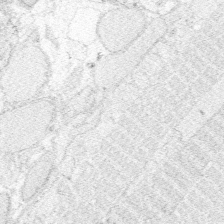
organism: Zebrafish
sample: Whole-Brain